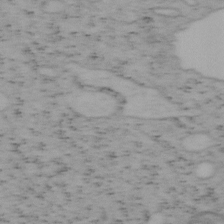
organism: Mouse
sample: OT-I killer T cells with ID8 ovarian cancer cells